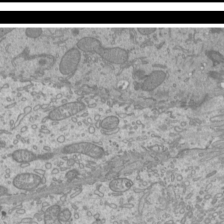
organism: Mouse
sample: Cilia; mouse epididymis